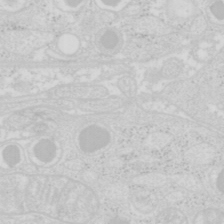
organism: Mouse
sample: Pancreas